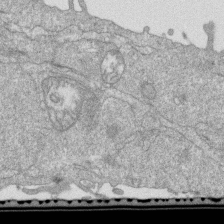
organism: Human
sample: HeLa cell HIV synapse